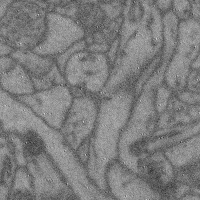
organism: Mouse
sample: Cerebral cortex